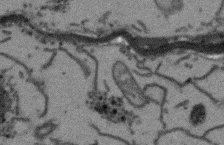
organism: Arabidopsis thaliana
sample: Root tip